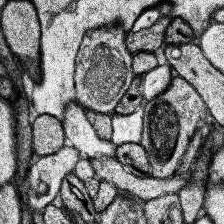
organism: Human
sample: Temporal Lobe